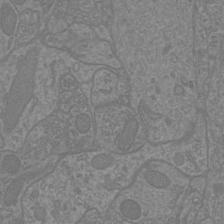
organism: Mouse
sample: Cortical neurons